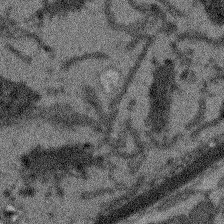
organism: Arabidopsis thaliana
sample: Root tip